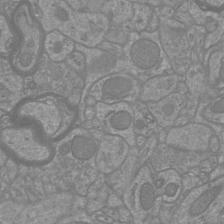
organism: Mouse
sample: Cortical neurons